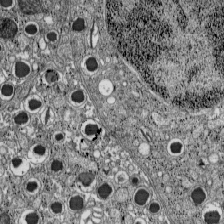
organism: C57BL Mouse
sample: Pancreatic islet